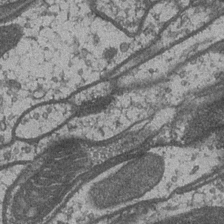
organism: Drosophila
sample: Optic medulla